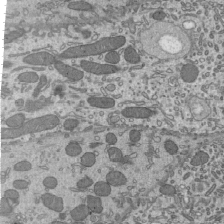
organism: Mouse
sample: Mouse epididymis efferent ductule cilia